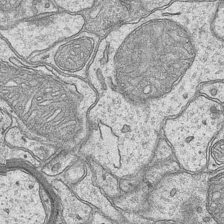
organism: Mouse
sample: CA1 Hippocampus